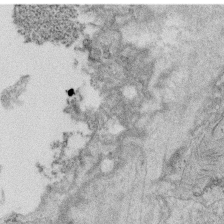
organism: C. elegans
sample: C. elegans oocyte; sperm cells